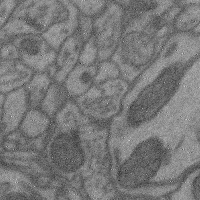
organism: Mouse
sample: Cerebral cortex